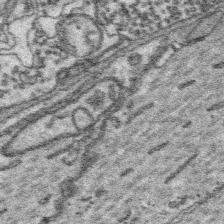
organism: Platynereis dumerilii